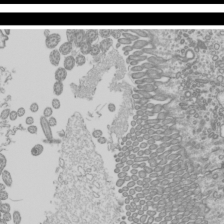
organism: Mouse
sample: Cilia; mouse epididymis